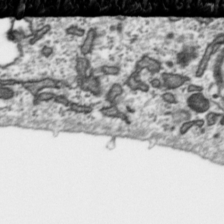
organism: Toxoplasma gondii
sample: Parasites in a vacuole inside a host cell